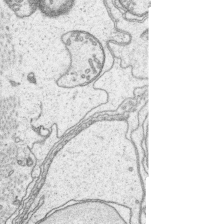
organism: Platynereis dumerilii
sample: Parapodia